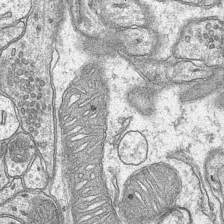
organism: Mouse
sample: CA1 Hippocampus